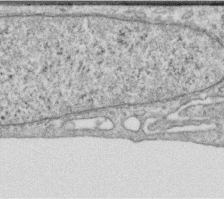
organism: Human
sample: Centriole in RPE cells